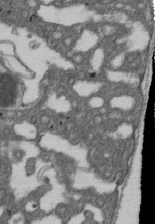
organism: Drosophila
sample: Nephrocyte